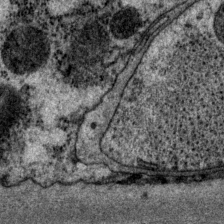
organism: P. pacificus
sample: Pharynx